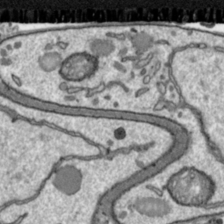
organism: Toxoplasma gondii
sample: Parasites in a vacuole inside a host cell